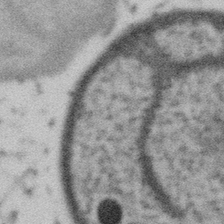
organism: Gemmata obscuriglobus